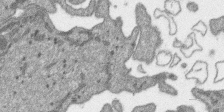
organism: Human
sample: Lung epithelial cells infected with SARS-CoV-2